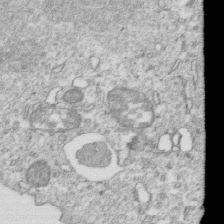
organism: Mouse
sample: Activated OT-1 CD8+ T cells